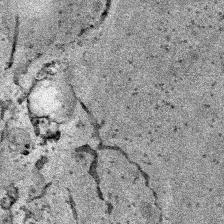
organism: Human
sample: Mitochondria in HCT116 cells